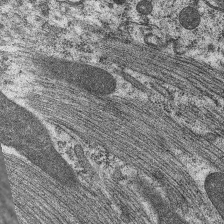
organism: C. elegans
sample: Pharynx